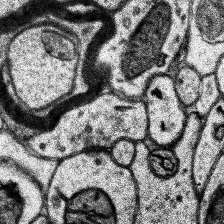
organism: Human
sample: Temporal Lobe